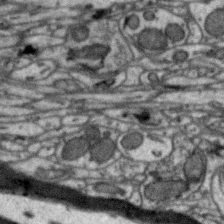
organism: Zebra finch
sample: Brain